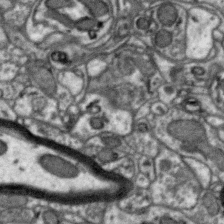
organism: Zebra finch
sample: Brain